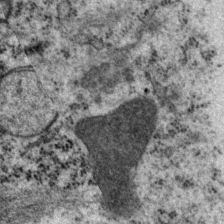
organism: P. pacificus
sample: Pharynx